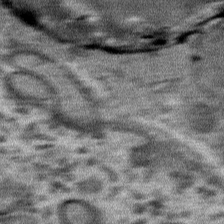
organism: Mouse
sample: Mouse Salivary gland